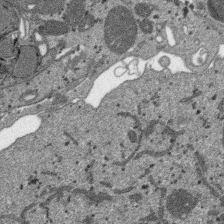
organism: Human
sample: Lung epithelial cells infected with SARS-CoV-2